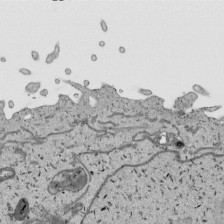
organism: Human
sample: Mitochondria in HCT116 cells